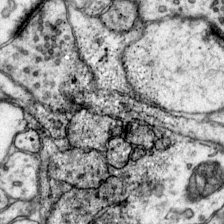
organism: Mouse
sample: Primary visual cortex